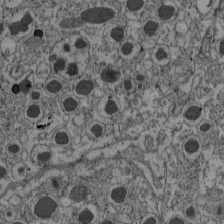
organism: C57BL Mouse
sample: Pancreatic islet